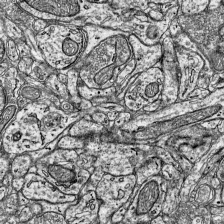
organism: Mouse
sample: Visual Cortex